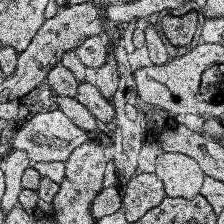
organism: Human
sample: Temporal Lobe